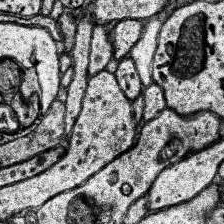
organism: Human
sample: Temporal Lobe